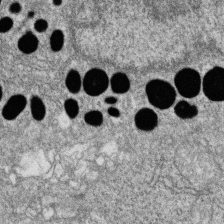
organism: Zebrafish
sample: Cilia; retinal pigment epithelium